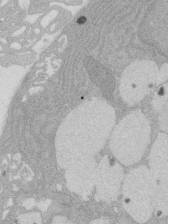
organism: Rat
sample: Salivary granule